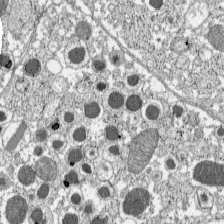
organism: C57BL Mouse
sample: Pancreatic islet